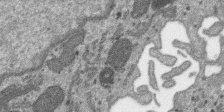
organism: Human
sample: Lung epithelial cells infected with SARS-CoV-2